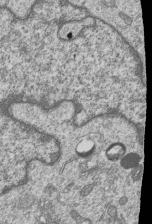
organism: Human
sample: MDA-MB-231 cells